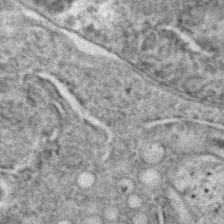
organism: C. elegans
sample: C. elegans embryo